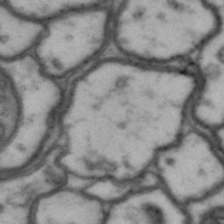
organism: Drosophila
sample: Brain